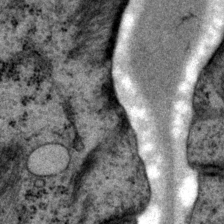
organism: P. pacificus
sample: Pharynx